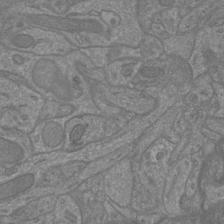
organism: Mouse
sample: Cortical neurons